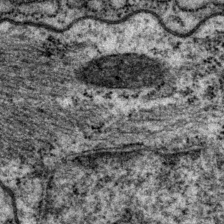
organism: P. pacificus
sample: Pharynx